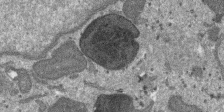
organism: Human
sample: Lung epithelial cells infected with SARS-CoV-2